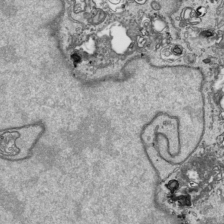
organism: Human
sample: Mitochondria in HCT116 cells